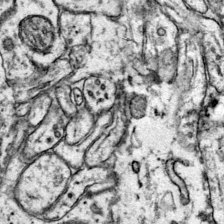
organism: Mouse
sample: Primary visual cortex